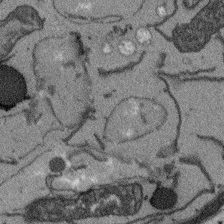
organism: Arabidopsis thaliana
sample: Root tip